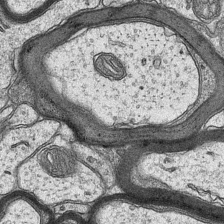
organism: Mouse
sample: CA1 Hippocampus